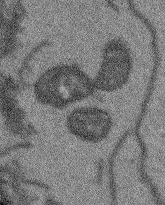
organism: Arabidopsis thaliana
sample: Root tip